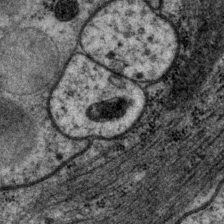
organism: P. pacificus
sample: Pharynx